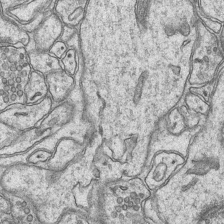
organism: Mouse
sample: CA1 Hippocampus